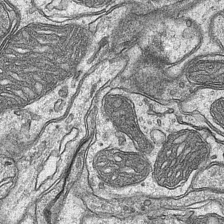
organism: Mouse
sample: CA1 Hippocampus